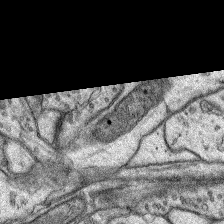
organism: Rat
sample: Hippocampus